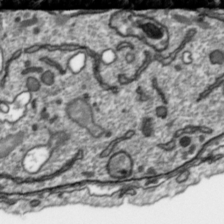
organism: Toxoplasma gondii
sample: Parasites in a vacuole inside a host cell